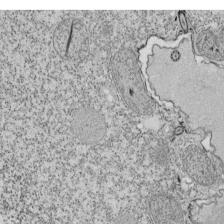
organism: Tetrahymena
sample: Cilia in tetrahymena